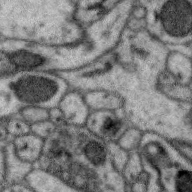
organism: Zebra finch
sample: Brain